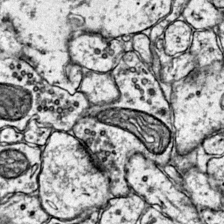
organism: Mouse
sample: Primary visual cortex